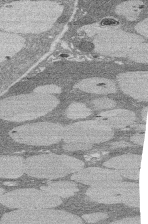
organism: Rat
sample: Salivary granule